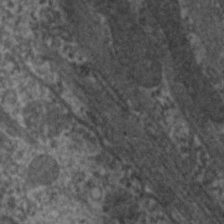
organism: C. elegans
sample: Pharynx